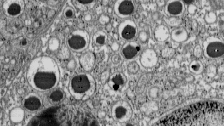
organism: C57BL Mouse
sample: Pancreatic islet